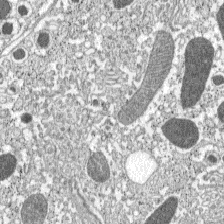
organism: C57BL Mouse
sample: Pancreatic islet